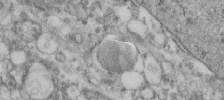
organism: Human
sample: Centriole in fibroblast cells